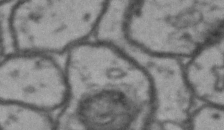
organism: Drosophila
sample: Brain